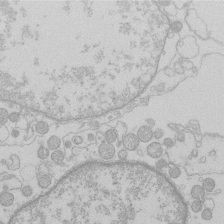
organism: Human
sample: Macrophage cells